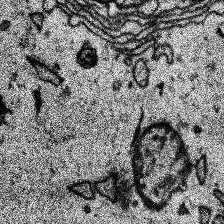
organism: Human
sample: Temporal Lobe